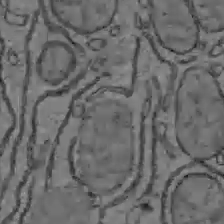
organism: C57BL Mouse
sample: Liver